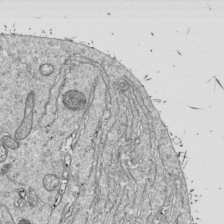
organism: Drosophila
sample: Cell division; meiosis; drosophila spermatocytes